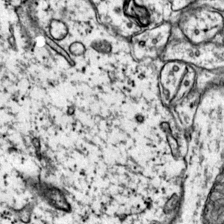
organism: Mouse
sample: Primary visual cortex